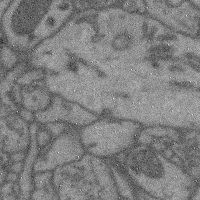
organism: Mouse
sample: Cerebral cortex